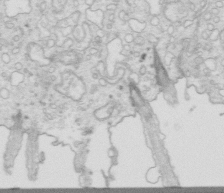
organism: Mouse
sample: Multiciliated cells